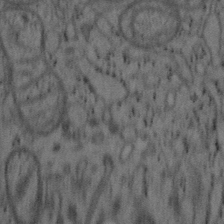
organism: Human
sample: HeLa cells